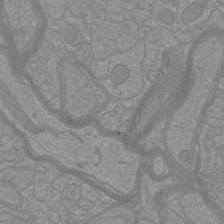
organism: Mouse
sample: Cortical neurons